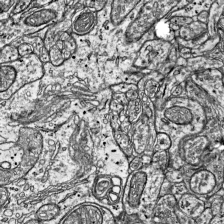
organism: Mouse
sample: Visual Cortex